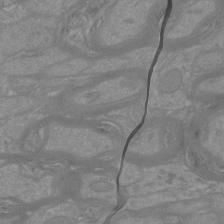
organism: Mouse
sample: Cortical neurons